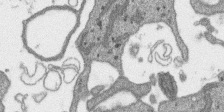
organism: Human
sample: Lung epithelial cells infected with SARS-CoV-2